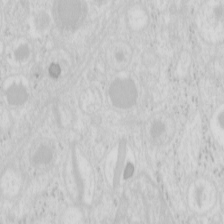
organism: Mouse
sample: Pancreas